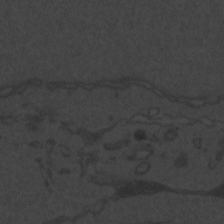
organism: Zebrafish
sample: Macrophage infected with Toxoplasma gondii